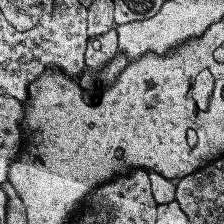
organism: Human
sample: Temporal Lobe